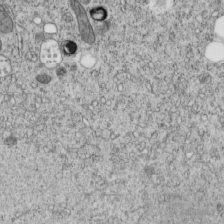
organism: C. elegans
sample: C. elegans embryo early stage